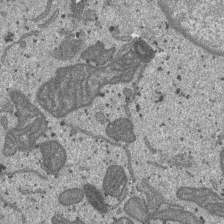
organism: Human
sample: Lung epithelial cells infected with SARS-CoV-2